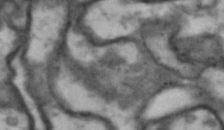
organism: Drosophila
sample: Brain